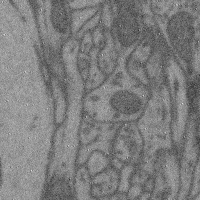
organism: Mouse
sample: Cerebral cortex